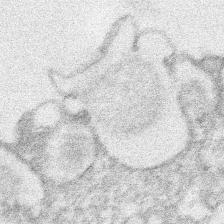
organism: Xenopus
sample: Cilia; centrioles in frog embryo cells